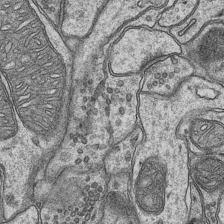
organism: Mouse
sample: CA1 Hippocampus